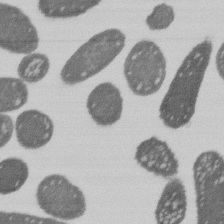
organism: E. coli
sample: Bacterial nucleoid